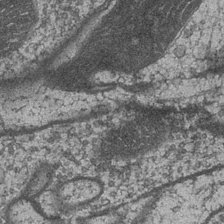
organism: Drosophila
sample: Optic medulla